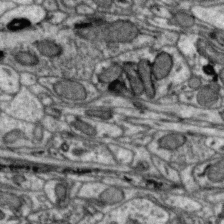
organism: Zebra finch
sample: Brain